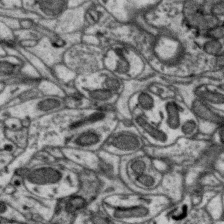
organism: Zebra finch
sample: Brain